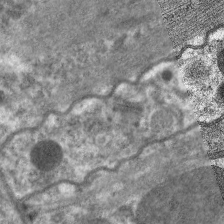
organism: C. elegans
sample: Pharynx